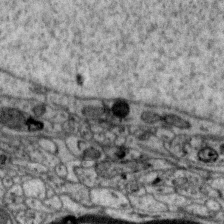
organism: Zebra finch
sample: Brain